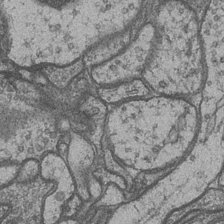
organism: Drosophila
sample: Optic medulla